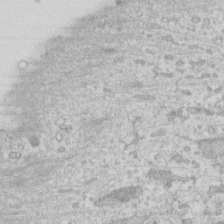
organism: Human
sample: Fibroblast cells